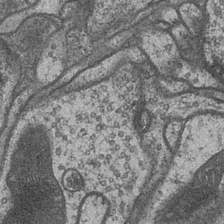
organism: Drosophila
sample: Optic medulla